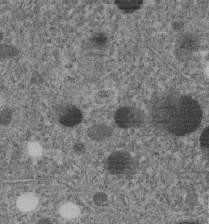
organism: C. elegans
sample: C. elegans embryo early stage